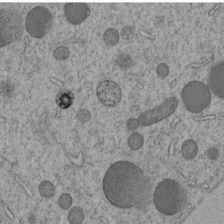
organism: C. elegans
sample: C. elegans embryo early stage